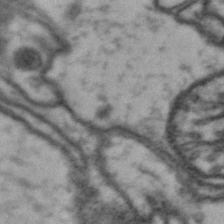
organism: Drosophila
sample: Brain